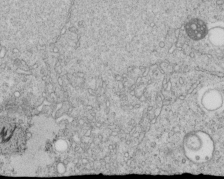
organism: C. elegans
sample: C. elegans embryo early stage